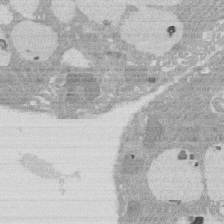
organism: Rat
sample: Salivary granule